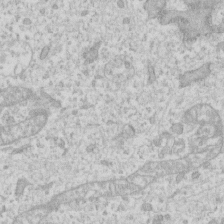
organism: Human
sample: Fibroblast cells